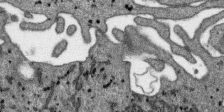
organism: Human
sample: Lung epithelial cells, uninfected (mock) control